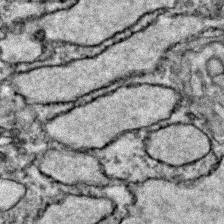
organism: Zebrafish